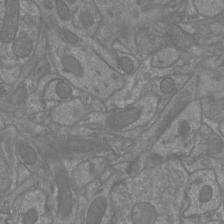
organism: Mouse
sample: Cortical neurons